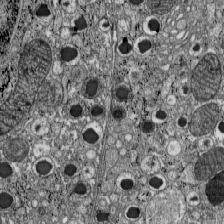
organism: C57BL Mouse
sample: Pancreatic islet